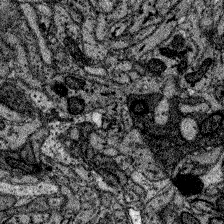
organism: Zebrafish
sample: Larval olfactory bulb